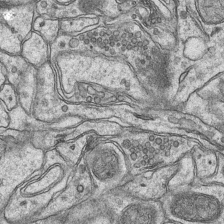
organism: Mouse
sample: CA1 Hippocampus